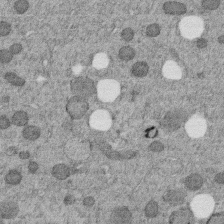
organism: C. elegans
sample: C. elegans embryo early stage